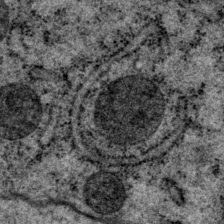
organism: P. pacificus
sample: Pharynx